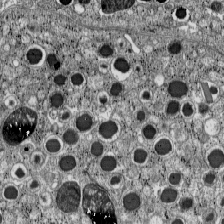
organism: C57BL Mouse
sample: Pancreatic islet